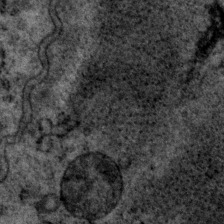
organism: P. pacificus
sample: Pharynx